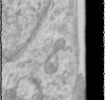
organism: Human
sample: Cilia; basal body in RPE cells